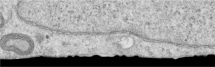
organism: Human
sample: Centriole in RPE cells